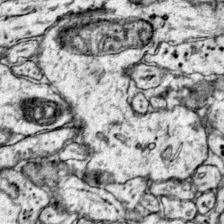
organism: Mouse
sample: Primary visual cortex